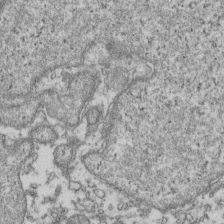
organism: Human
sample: Activated Jurkat CD4+ T cells